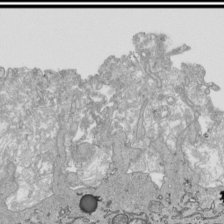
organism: Human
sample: Mitochondria in HCT116 cells